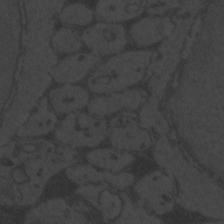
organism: Zebrafish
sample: Macrophage infected with Toxoplasma gondii